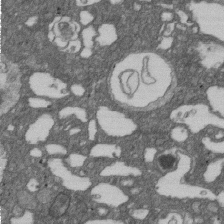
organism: Drosophila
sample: Nephrocyte